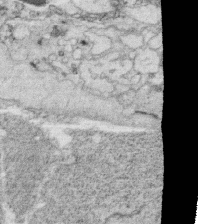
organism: C. elegans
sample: C. elegans oocyte; sperm cells